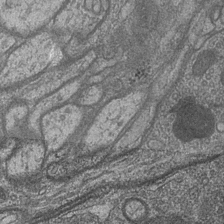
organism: Drosophila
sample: Optic medulla